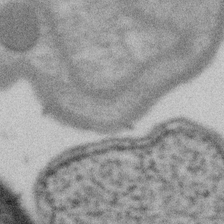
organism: Gemmata obscuriglobus